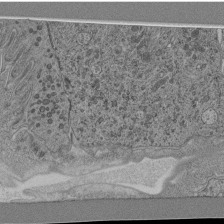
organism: C. elegans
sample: C. elegans pharynx